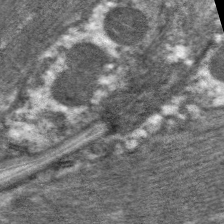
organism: C. elegans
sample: Pharynx